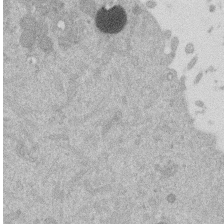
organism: Mouse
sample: Dividing mouse embryo 1 cell stage